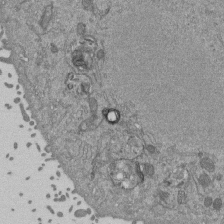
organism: Mouse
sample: ED-1 cell nuclei; centrioles